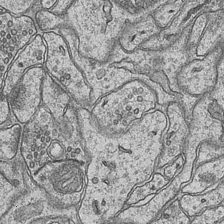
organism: Mouse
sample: CA1 Hippocampus